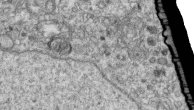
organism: Human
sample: HeLa cell HIV synapse